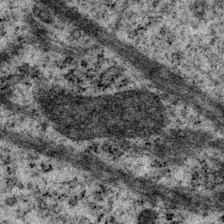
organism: P. pacificus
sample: Pharynx